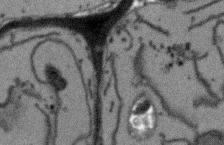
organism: Arabidopsis thaliana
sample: Root tip